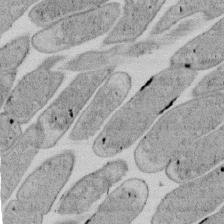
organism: E. coli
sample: Bacterial nucleoid